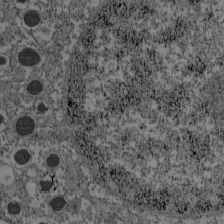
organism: C57BL Mouse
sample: Pancreatic islet